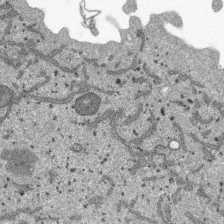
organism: Human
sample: Lung epithelial cells infected with SARS-CoV-2